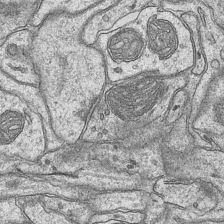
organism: Mouse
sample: CA1 Hippocampus